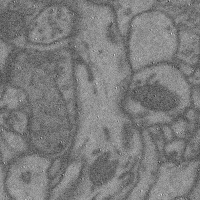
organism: Mouse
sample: Cerebral cortex